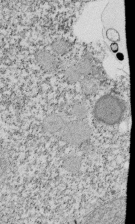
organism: Tetrahymena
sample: Cilia in tetrahymena